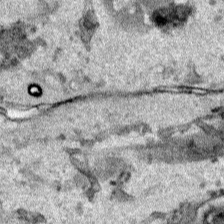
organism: Human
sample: Mitochondria in HCT116 cells